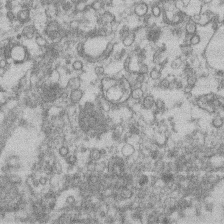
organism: Mouse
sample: T cell stromal cell synapse